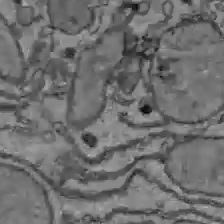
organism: C57BL Mouse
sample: Liver